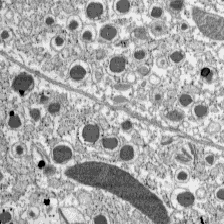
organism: C57BL Mouse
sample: Pancreatic islet